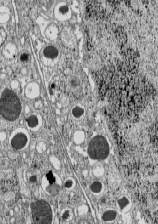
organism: C57BL Mouse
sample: Pancreatic islet